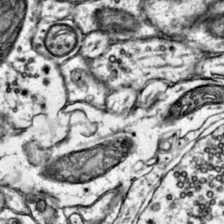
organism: Mouse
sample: Primary visual cortex